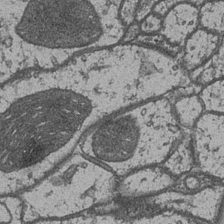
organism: Drosophila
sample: Optic medulla